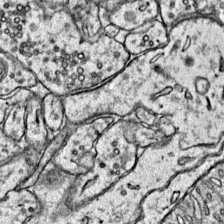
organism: Mouse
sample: Primary visual cortex